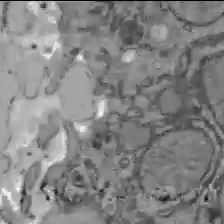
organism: C57BL Mouse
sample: Liver